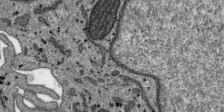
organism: Human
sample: Lung epithelial cells, uninfected (mock) control